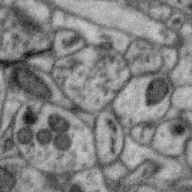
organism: Zebra finch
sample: Brain